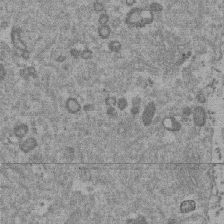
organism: Mouse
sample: Dividing mouse embryo 1 cell stage